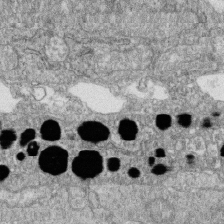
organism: Zebrafish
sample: Cilia; retinal pigment epithelium